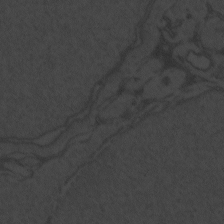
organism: Zebrafish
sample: Macrophage infected with Toxoplasma gondii